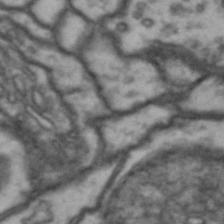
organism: Drosophila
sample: Brain